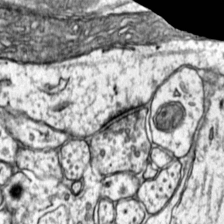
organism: Mouse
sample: Primary visual cortex